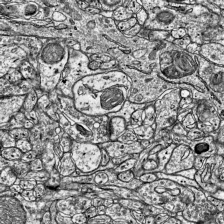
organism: Mouse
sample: Visual Cortex